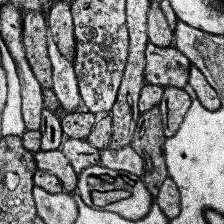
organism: Human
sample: Temporal Lobe